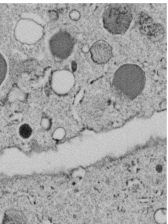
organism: C. elegans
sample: C. elegans embryo early stage